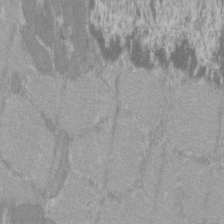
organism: C57BL Mouse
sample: Tibialis anterior muscle cell